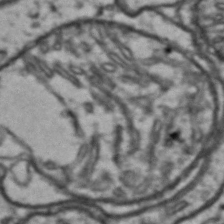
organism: Drosophila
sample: Brain